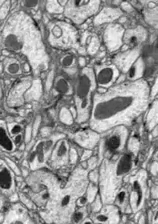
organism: Drosophila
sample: Optic lobe